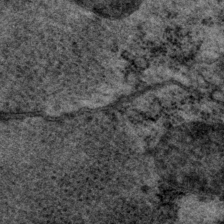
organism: P. pacificus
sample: Pharynx